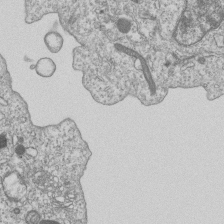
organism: Human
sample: MDA-MB-231 cells